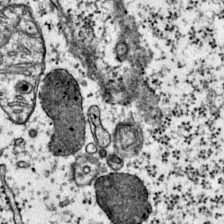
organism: Mouse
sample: Primary visual cortex